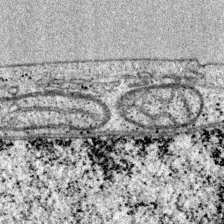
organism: Human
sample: HeLa cells